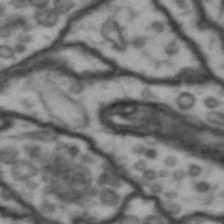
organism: Drosophila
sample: Brain